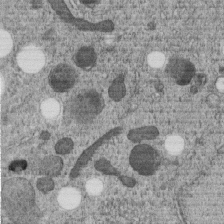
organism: C. elegans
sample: C. elegans embryo early stage